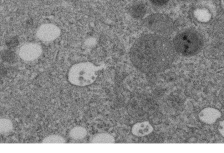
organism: C. elegans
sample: C. elegans embryo early stage